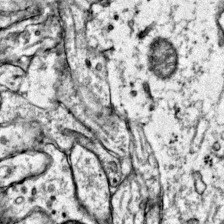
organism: Mouse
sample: Primary visual cortex